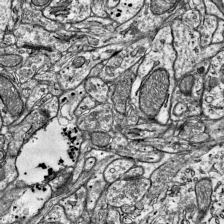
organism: Mouse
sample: Visual Cortex